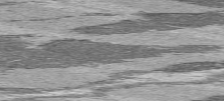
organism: C57BL Mouse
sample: Heart